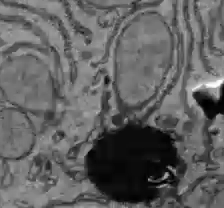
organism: C57BL Mouse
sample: Liver